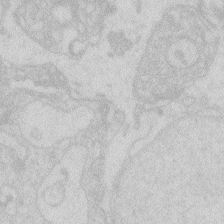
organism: Zebrafish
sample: Macrophage